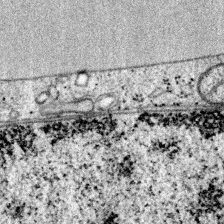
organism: Human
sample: HeLa cells